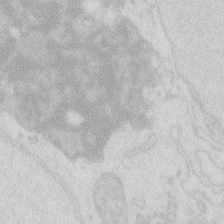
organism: Zebrafish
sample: Macrophage